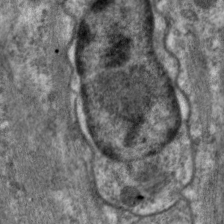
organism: C. elegans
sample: Pharynx